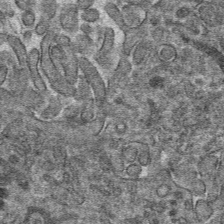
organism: Mouse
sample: Mouse hepatocytes